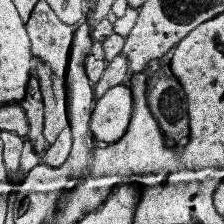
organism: Human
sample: Temporal Lobe